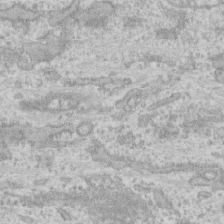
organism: Human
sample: CRL-1474